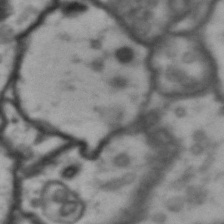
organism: Drosophila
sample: Brain